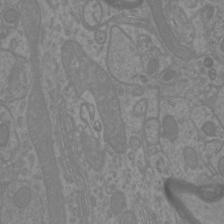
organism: Mouse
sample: Cortical neurons